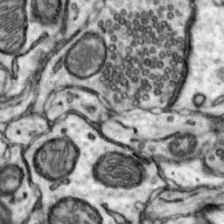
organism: Mouse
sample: Nucleus accumbens